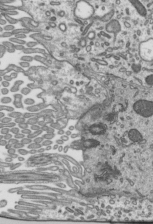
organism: Mouse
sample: Mouse epididymis efferent ductule cilia